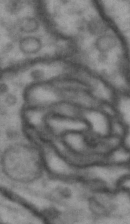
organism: Drosophila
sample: Brain